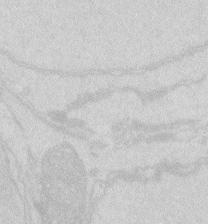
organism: Zebrafish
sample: Macrophage